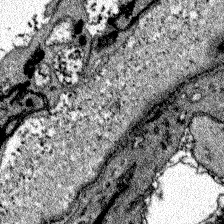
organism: Zebrafish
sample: Larval olfactory bulb